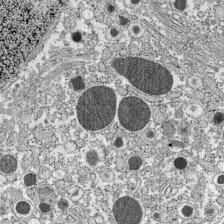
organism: C57BL Mouse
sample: Pancreatic islet